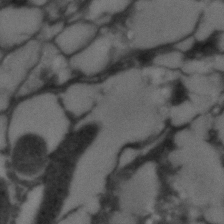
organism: C. elegans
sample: C. elegans embryo